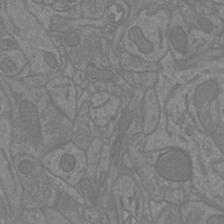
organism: Mouse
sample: Cortical neurons